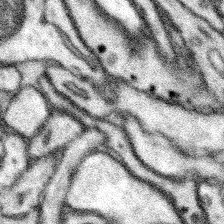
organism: Mouse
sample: Somatosensory cortex neuropil